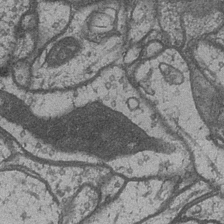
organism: Drosophila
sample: Optic medulla